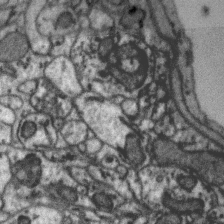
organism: Zebra finch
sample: Brain